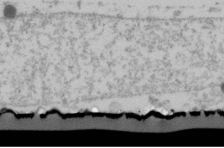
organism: Human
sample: U2-OS cells